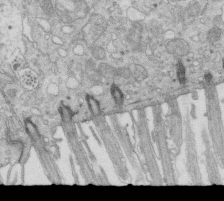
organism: Mouse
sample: Multiciliated cells